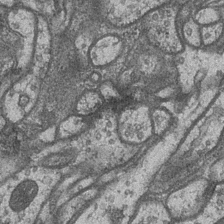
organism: Drosophila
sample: Optic medulla